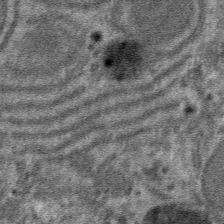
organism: Mouse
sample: Mouse hepatocytes